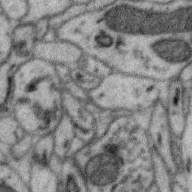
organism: Zebra finch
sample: Brain